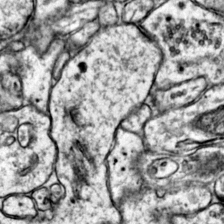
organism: Mouse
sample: Primary visual cortex